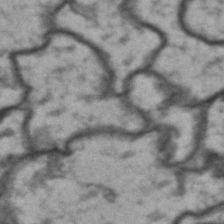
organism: Drosophila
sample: Brain